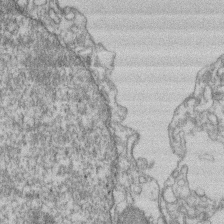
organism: Mouse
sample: T cell stromal cell synapse